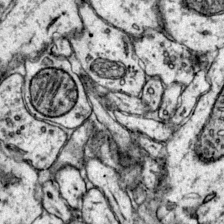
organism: Mouse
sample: Primary visual cortex